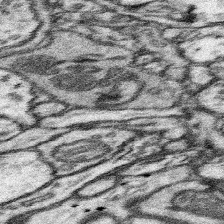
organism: Mouse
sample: Somatosensory cortex neuropil